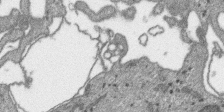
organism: Human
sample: Lung epithelial cells infected with SARS-CoV-2